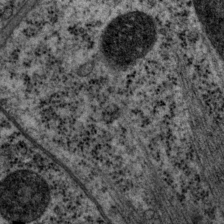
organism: P. pacificus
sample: Pharynx